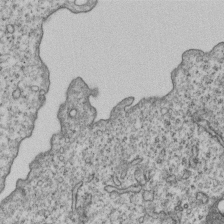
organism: Human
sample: MDA-MB-231 cells